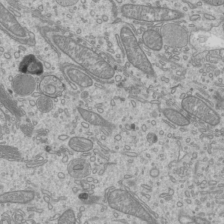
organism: Mouse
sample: Cilia; mouse epididymis